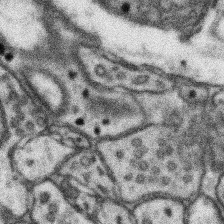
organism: Mouse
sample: Somatosensory cortex neuropil